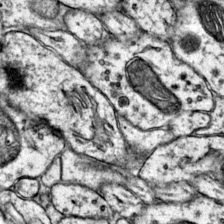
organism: Mouse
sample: Primary visual cortex